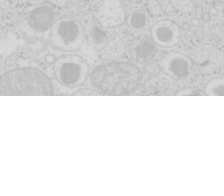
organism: Mouse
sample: Pancreas